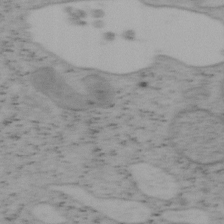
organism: Mouse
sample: OT-I killer T cells with ID8 ovarian cancer cells